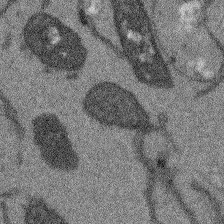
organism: Arabidopsis thaliana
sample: Root tip